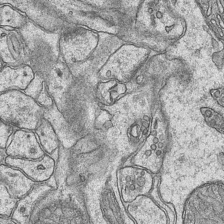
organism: Mouse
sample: CA1 Hippocampus